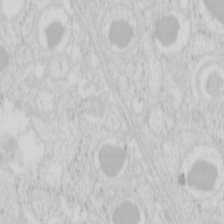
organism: Mouse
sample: Pancreas